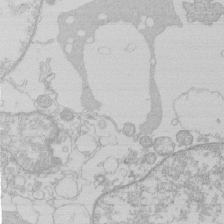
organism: Human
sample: Macrophage cells